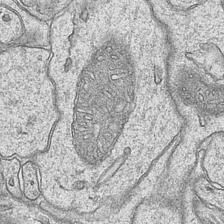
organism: Mouse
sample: CA1 Hippocampus